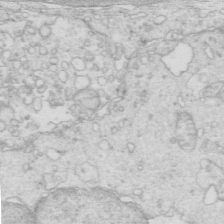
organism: Mouse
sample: Multiciliated cells